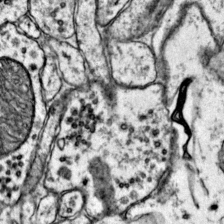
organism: Mouse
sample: Primary visual cortex